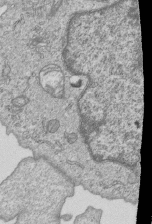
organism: Human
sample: MDA-MB-231 cells